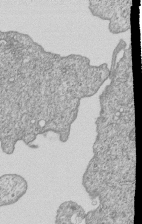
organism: Human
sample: MDA-MB-231 cells